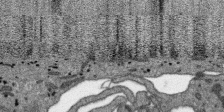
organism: Human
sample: Lung epithelial cells, uninfected (mock) control